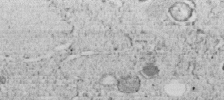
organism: C. elegans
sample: C. elegans embryo early stage